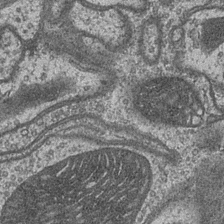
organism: Drosophila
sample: Optic medulla